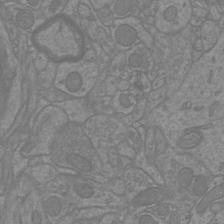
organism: Mouse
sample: Cortical neurons